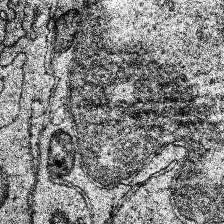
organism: Human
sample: Temporal Lobe